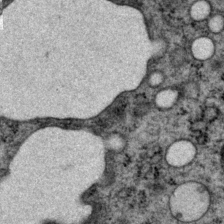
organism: P. pacificus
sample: Pharynx